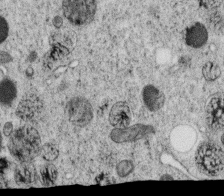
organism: C. elegans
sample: C. elegans oocyte; sperm cells